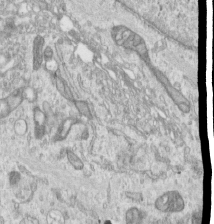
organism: Human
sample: Centriole in RPE cells